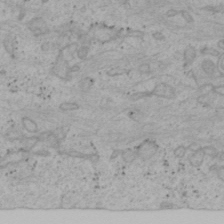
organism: Human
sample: HeLa cells